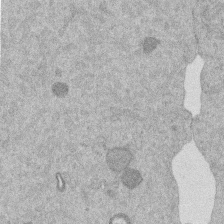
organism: Mouse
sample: Dividing mouse embryo 1 cell stage